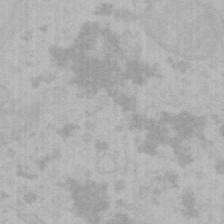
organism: Mouse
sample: Choroid plexus